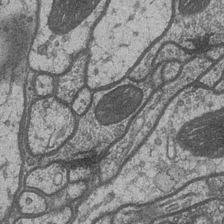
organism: Drosophila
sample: Optic medulla